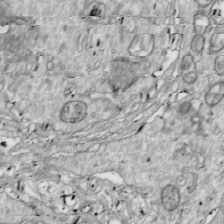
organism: Drosophila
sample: Cell division; meiosis; drosophila spermatocytes